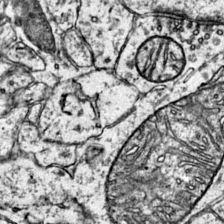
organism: Mouse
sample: Primary visual cortex